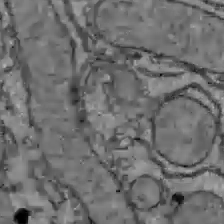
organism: C57BL Mouse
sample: Liver